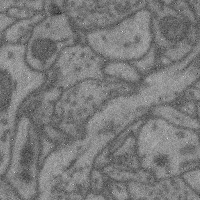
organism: Mouse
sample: Cerebral cortex